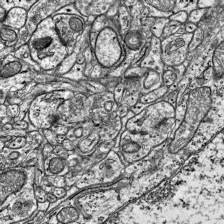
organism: Mouse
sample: Visual Cortex